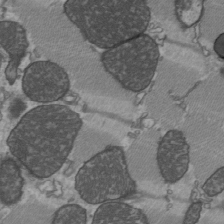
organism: C57BL Mouse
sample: Heart